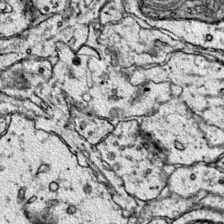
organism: Mouse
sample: Primary visual cortex